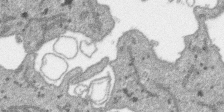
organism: Human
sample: Lung epithelial cells infected with SARS-CoV-2